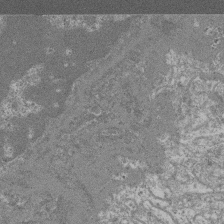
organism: Mouse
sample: Glomerulus